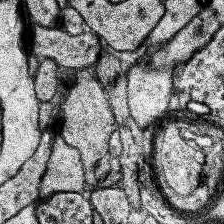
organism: Human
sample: Temporal Lobe